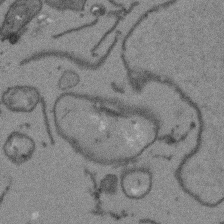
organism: Arabidopsis thaliana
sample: Root tip